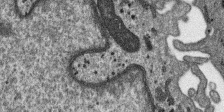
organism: Human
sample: Lung epithelial cells infected with SARS-CoV-2